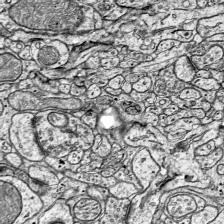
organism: Mouse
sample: Visual Cortex